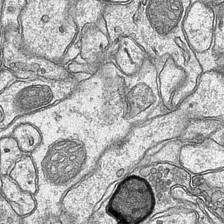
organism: Mouse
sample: CA1 Hippocampus